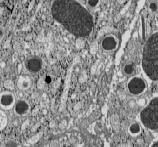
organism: C57BL Mouse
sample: Pancreatic islet